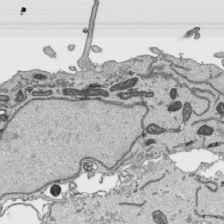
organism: Human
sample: Mitochondria in HCT116 cells